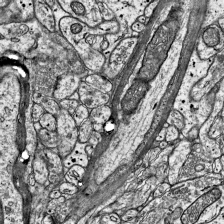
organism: Mouse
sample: Visual Cortex